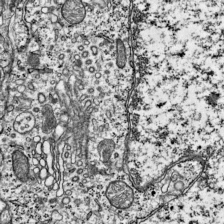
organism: Mouse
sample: Visual Cortex